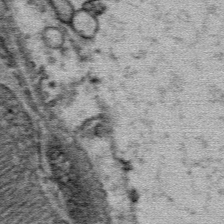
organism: Mouse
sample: Mouse Salivary gland